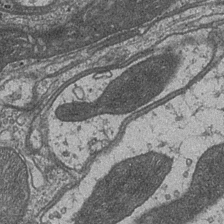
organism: Drosophila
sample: Optic medulla